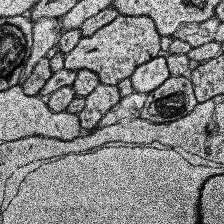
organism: Human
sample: Temporal Lobe